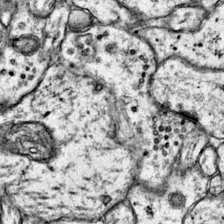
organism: Mouse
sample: Primary visual cortex